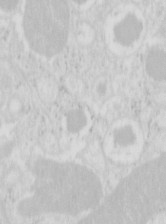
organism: Mouse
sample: Pancreas